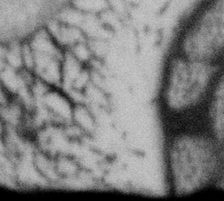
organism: Gemmata obscuriglobus